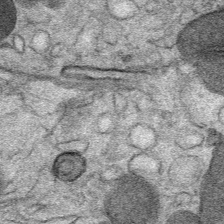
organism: Mouse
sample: Mouse Salivary gland